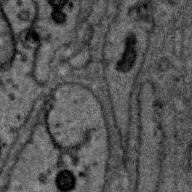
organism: Zebra finch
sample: Brain